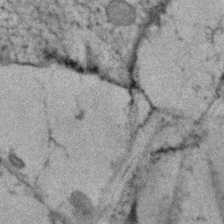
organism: Human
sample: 1205lu cells